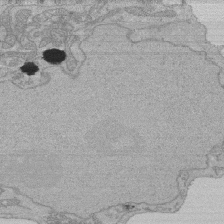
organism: Human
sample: Activated Jurkat CD4+ T cells